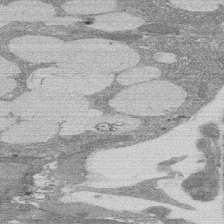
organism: Rat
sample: Salivary granule